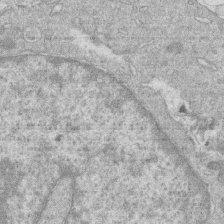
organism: Human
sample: Macrophage cells